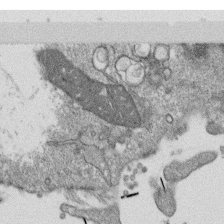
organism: African green monkey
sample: Vero E6 cells infected with SARS-CoV-2